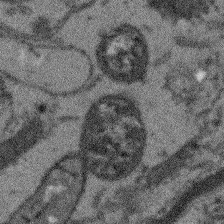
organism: Arabidopsis thaliana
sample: Root tip